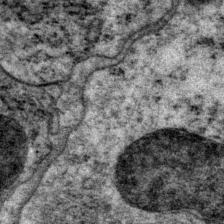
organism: P. pacificus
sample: Pharynx